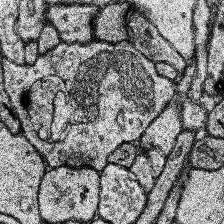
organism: Human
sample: Temporal Lobe